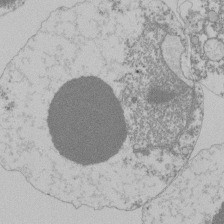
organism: Mouse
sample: Activated Pmel transgenic CD8+ T Cells